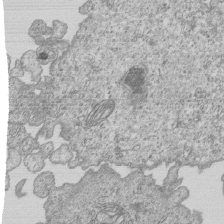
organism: Human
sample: MDA-MB-231 cells